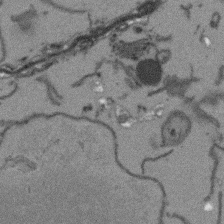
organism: Arabidopsis thaliana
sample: Root tip